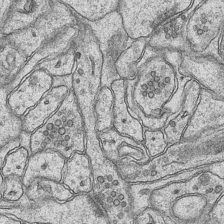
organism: Mouse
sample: CA1 Hippocampus